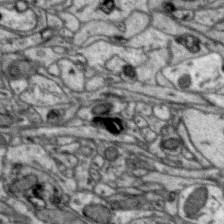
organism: Zebra finch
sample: Brain